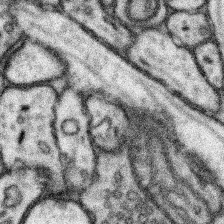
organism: Mouse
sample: Somatosensory cortex neuropil